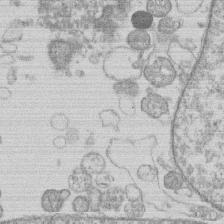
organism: Human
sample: Macrophage cells